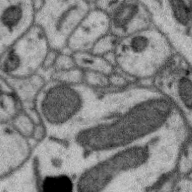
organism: Zebra finch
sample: Brain